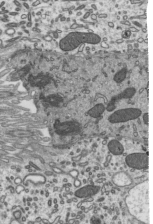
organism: Mouse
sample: Mouse epididymis efferent ductule cilia